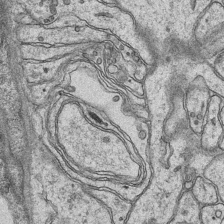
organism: Mouse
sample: CA1 Hippocampus